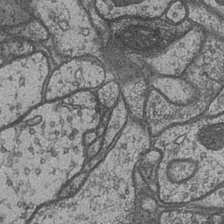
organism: Drosophila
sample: Optic medulla